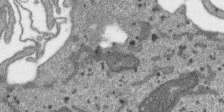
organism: Human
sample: Lung epithelial cells infected with SARS-CoV-2